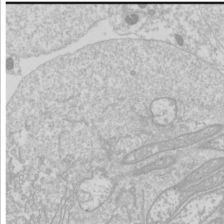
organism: Drosophila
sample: Cell division; meiosis; drosophila spermatocytes